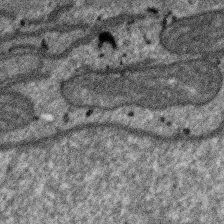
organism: Human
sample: Lung epithelial cells infected with SARS-CoV-2